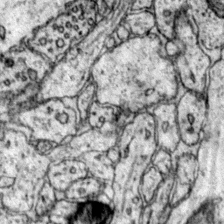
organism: Mouse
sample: Primary visual cortex